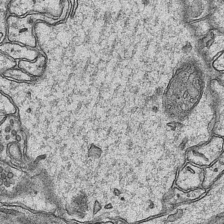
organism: Mouse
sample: CA1 Hippocampus